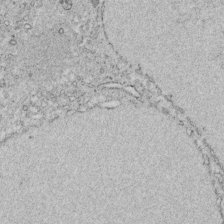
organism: C. elegans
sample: C. elegans embryo early stage